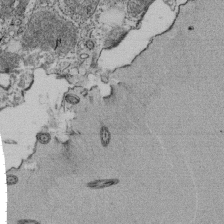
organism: Tetrahymena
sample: Cilia in tetrahymena